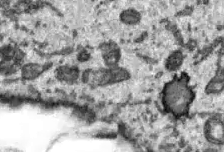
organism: Human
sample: HeLa cells